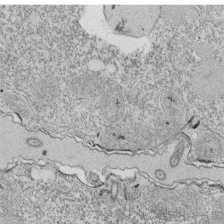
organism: Tetrahymena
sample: Cilia in tetrahymena